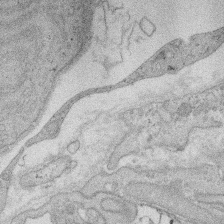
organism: Rat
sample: Salivary granule